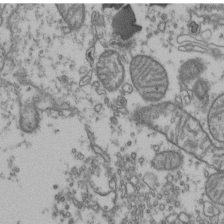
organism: Human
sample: Activated Jurkat CD4+ T cells